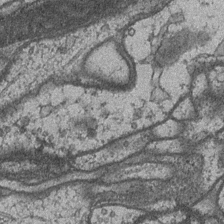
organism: Drosophila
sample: Optic medulla